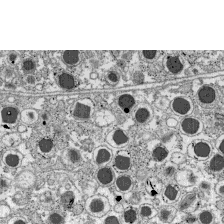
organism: C57BL Mouse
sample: Pancreatic islet